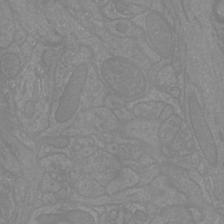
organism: Mouse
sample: Cortical neurons